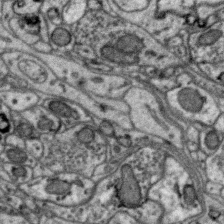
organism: Zebra finch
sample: Brain